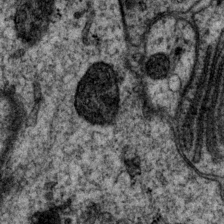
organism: P. pacificus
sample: Pharynx